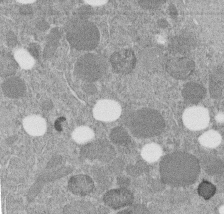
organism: C. elegans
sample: C. elegans embryo early stage